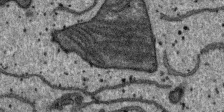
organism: Human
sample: Lung epithelial cells, uninfected (mock) control